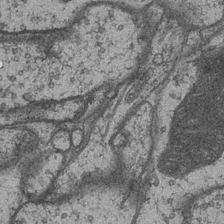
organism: Drosophila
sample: Optic medulla